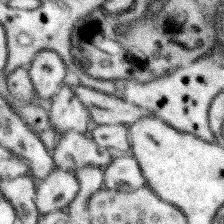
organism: Mouse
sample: Somatosensory cortex neuropil